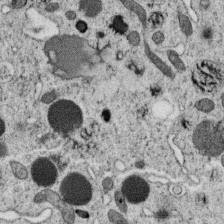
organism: C. elegans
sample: C. elegans oocyte; sperm cells